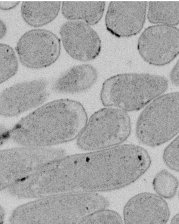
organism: E. coli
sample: Bacterial nucleoid